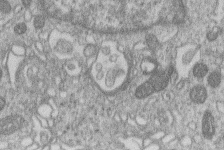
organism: Human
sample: Macrophage cells